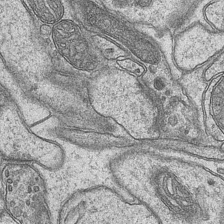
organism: Mouse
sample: CA1 Hippocampus